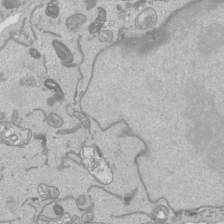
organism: Human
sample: Mitochondria in HCT116 cells